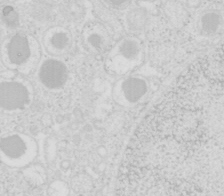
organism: Mouse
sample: Pancreas